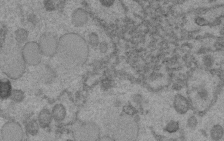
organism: C. elegans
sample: C. elegans embryo early stage